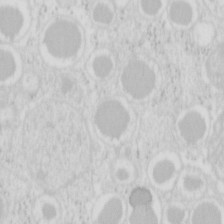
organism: Mouse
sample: Pancreas